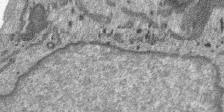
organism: Human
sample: Lung epithelial cells infected with SARS-CoV-2